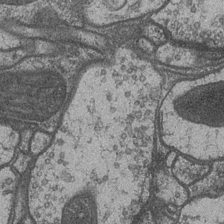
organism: Drosophila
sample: Optic medulla